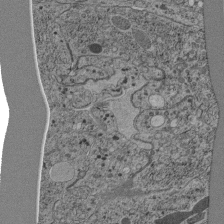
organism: C. elegans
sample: C. elegans pharynx